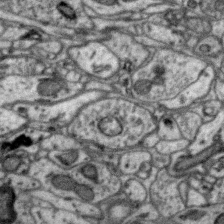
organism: Zebra finch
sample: Brain